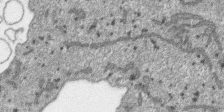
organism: Human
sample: Lung epithelial cells infected with SARS-CoV-2